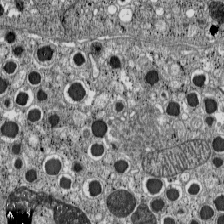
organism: C57BL Mouse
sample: Pancreatic islet